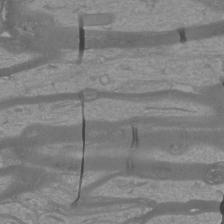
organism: Mouse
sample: Cortical neurons